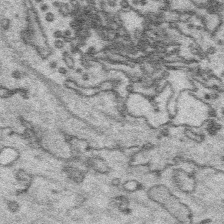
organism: Platynereis dumerilii